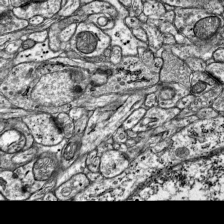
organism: Mouse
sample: Visual Cortex